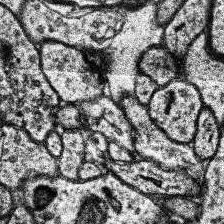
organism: Human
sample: Temporal Lobe